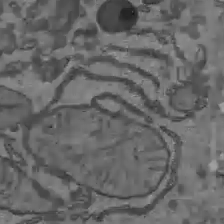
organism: C57BL Mouse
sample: Liver